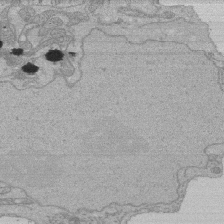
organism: Human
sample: Activated Jurkat CD4+ T cells